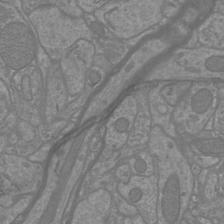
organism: Mouse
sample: Cortical neurons